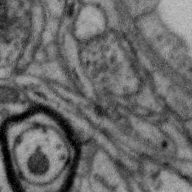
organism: Zebra finch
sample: Brain